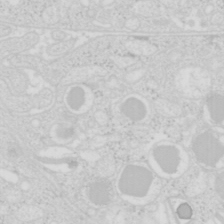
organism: Mouse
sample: Pancreas